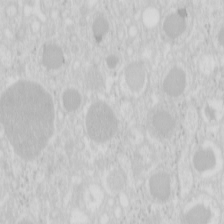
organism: Mouse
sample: Pancreas